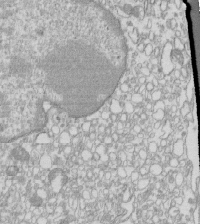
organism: Mouse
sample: Macrophages